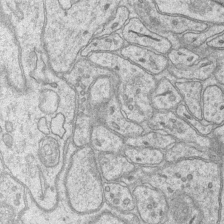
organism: Mouse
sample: CA1 Hippocampus